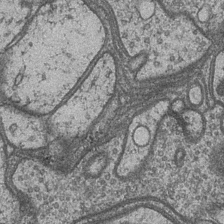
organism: Drosophila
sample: Optic medulla